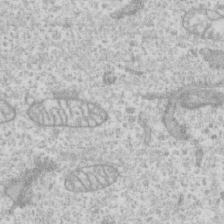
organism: Human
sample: CRL-1474